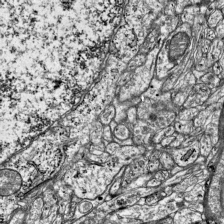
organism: Mouse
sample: Visual Cortex